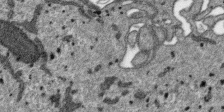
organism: Human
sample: Lung epithelial cells, uninfected (mock) control